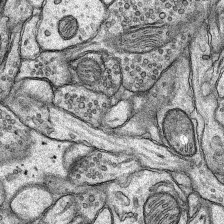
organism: Rat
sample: Hippocampus